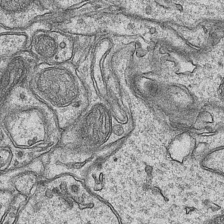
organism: Mouse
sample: CA1 Hippocampus